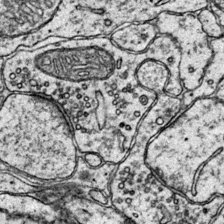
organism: Mouse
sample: Primary visual cortex